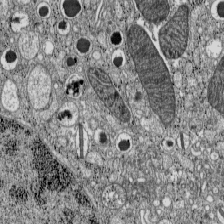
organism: C57BL Mouse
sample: Pancreatic islet